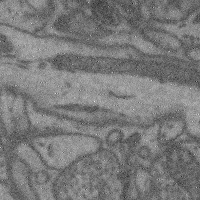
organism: Mouse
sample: Cerebral cortex